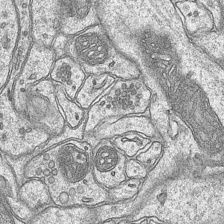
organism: Mouse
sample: CA1 Hippocampus